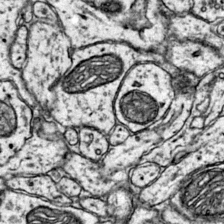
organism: Mouse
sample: Primary visual cortex